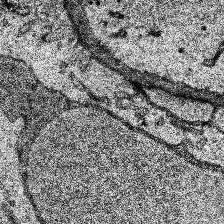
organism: Human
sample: Temporal Lobe